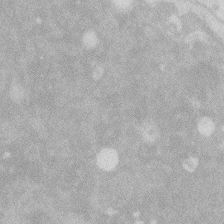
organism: Zebrafish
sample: Macrophage